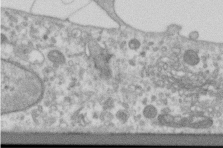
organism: Human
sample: Centriole in RPE cells